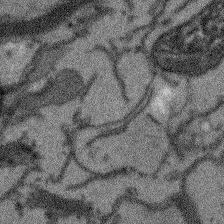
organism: Arabidopsis thaliana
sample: Root tip